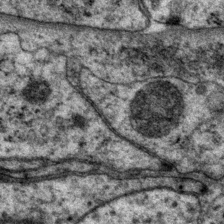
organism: P. pacificus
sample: Pharynx